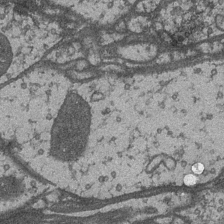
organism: Drosophila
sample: Optic medulla